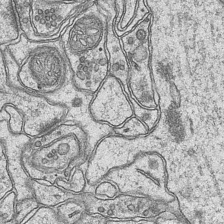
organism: Mouse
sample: CA1 Hippocampus